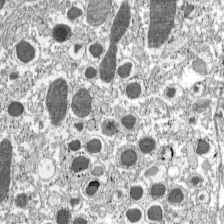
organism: C57BL Mouse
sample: Pancreatic islet